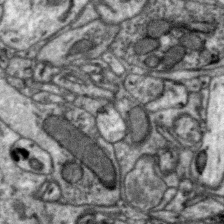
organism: Zebra finch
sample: Brain